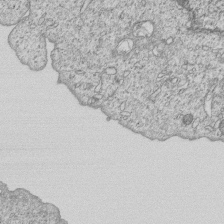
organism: Human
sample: MDA-MB-231 cells